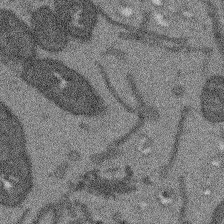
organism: Arabidopsis thaliana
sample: Root tip